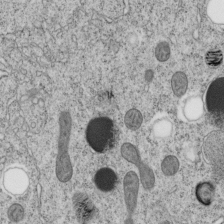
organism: C. elegans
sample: C. elegans embryo early stage